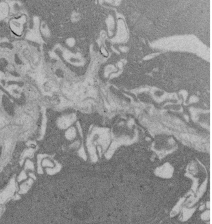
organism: Rat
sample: Salivary granule